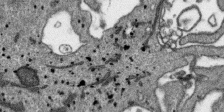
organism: Human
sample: Lung epithelial cells, uninfected (mock) control